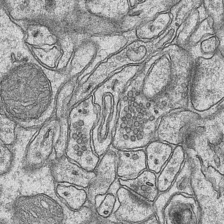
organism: Mouse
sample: CA1 Hippocampus